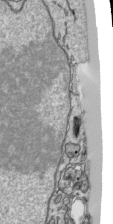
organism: Human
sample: Mitochondria in HCT116 cells